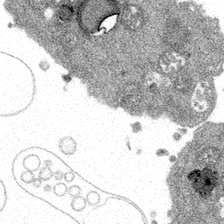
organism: Spongilla lacustris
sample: Multiple